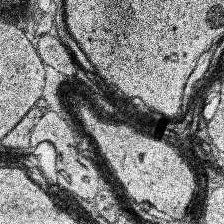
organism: Human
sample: Temporal Lobe